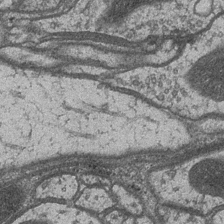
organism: Drosophila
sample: Optic medulla